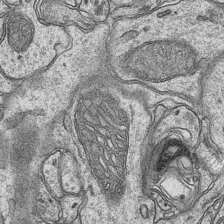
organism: Mouse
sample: CA1 Hippocampus